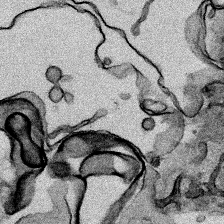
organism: Human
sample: Mitochondria in HCT116 cells